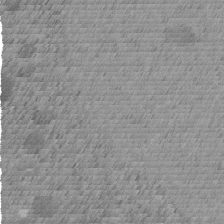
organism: C. elegans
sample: C. elegans embryo early stage